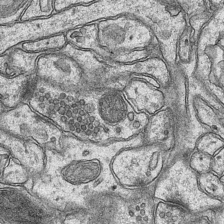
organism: Mouse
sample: CA1 Hippocampus